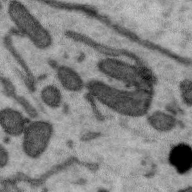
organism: Zebra finch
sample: Brain